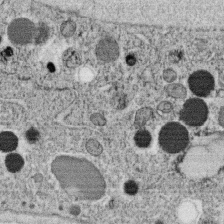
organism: C. elegans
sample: C. elegans oocyte; sperm cells